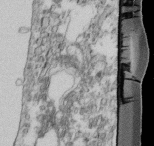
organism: Mouse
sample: Cilia; retinal pigment epithelium